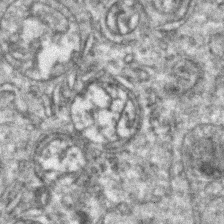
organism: Zebrafish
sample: Zebrafish embryo